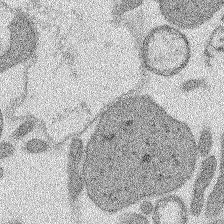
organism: Human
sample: HeLa cells